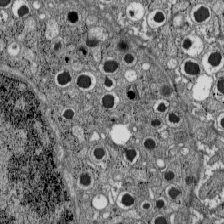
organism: C57BL Mouse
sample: Pancreatic islet